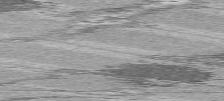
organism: C57BL Mouse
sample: Heart